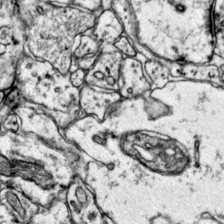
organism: Mouse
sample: Primary visual cortex